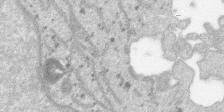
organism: Human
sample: Lung epithelial cells infected with SARS-CoV-2